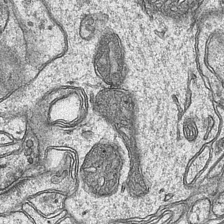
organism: Mouse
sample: CA1 Hippocampus